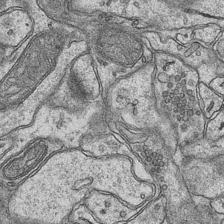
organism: Mouse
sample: CA1 Hippocampus